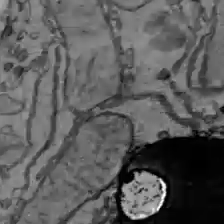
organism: C57BL Mouse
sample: Liver